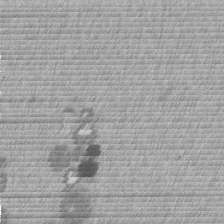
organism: Mouse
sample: Dividing mouse embryo 1 cell stage